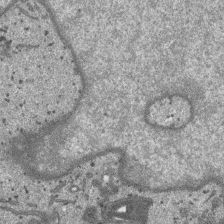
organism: Human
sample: Lung epithelial cells infected with SARS-CoV-2